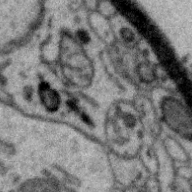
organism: Zebra finch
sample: Brain